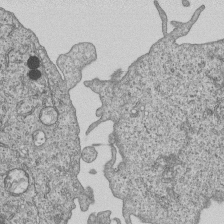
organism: Human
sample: MDA-MB-231 cells